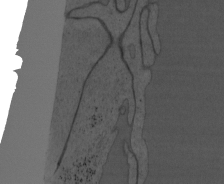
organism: Mouse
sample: OT-I killer T cells with ID8 ovarian cancer cells